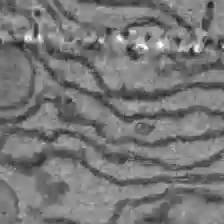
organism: C57BL Mouse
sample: Liver